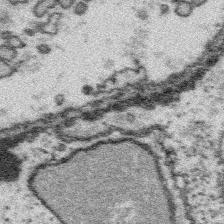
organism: Platynereis dumerilii